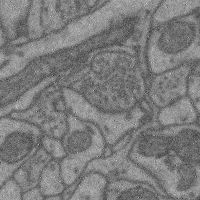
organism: Mouse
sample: Cerebral cortex